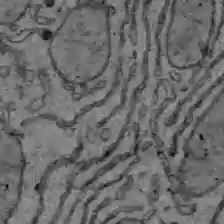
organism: C57BL Mouse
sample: Liver